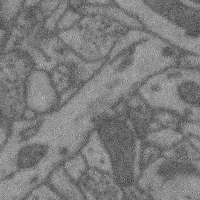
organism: Mouse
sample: Cerebral cortex